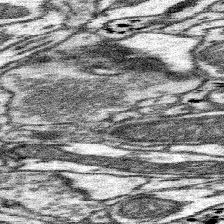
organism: Mouse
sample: Somatosensory cortex neuropil